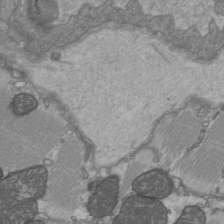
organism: C57BL Mouse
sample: Heart